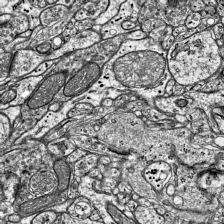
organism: Mouse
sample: Visual Cortex